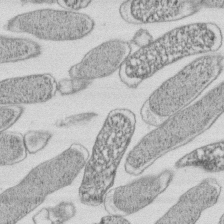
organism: E. coli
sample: Bacterial nucleoid